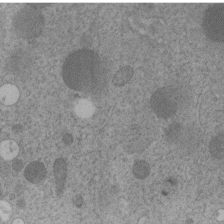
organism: C. elegans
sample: C. elegans embryo early stage